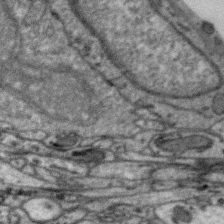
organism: Zebra finch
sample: Brain